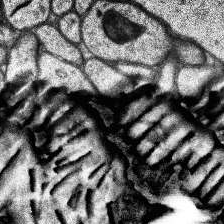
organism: Human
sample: Temporal Lobe